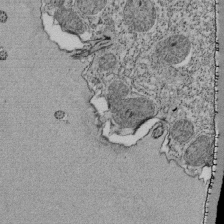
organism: Tetrahymena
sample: Cilia in tetrahymena